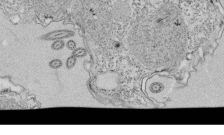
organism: Tetrahymena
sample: Cilia in tetrahymena